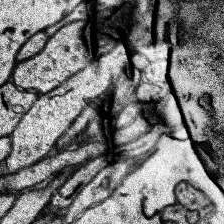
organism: Human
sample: Temporal Lobe